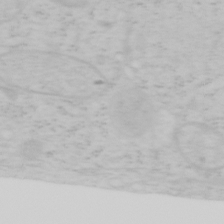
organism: Mouse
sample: OT-I killer T cells with ID8 ovarian cancer cells